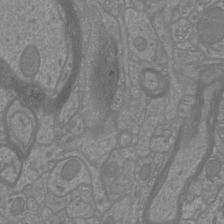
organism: Mouse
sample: Cortical neurons